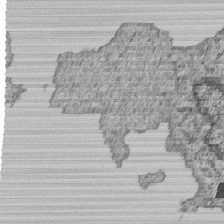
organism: Human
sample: MDA-MB-231 cells